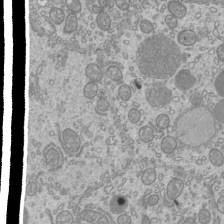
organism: Mouse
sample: Cilia; mouse epididymis